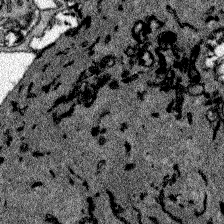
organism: Zebrafish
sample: Larval olfactory bulb